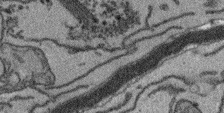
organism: Arabidopsis thaliana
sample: Root tip